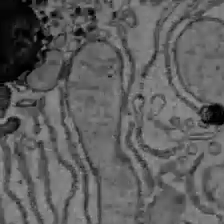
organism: C57BL Mouse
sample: Liver